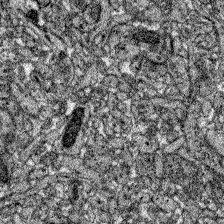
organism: Zebrafish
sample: Larval olfactory bulb